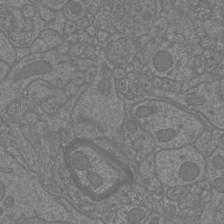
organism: Mouse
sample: Cortical neurons